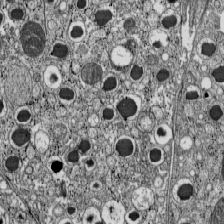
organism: C57BL Mouse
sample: Pancreatic islet